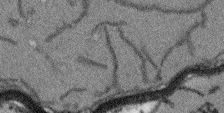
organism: Arabidopsis thaliana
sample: Root tip